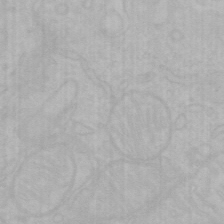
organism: Mouse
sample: Choroid plexus